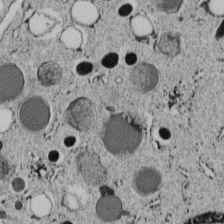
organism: C. elegans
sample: C. elegans embryo early stage